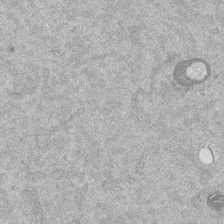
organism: Mouse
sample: Dividing mouse embryo 1 cell stage